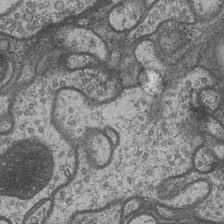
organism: Drosophila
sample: Optic medulla